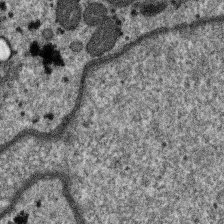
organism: Human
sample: Lung epithelial cells infected with SARS-CoV-2